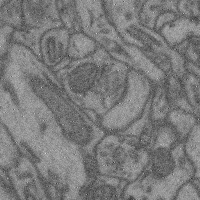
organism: Mouse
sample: Cerebral cortex